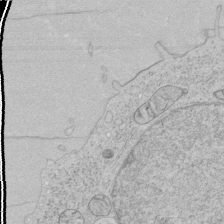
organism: Human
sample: Mitochondria in HCT116 cells